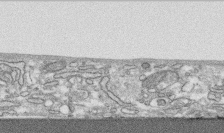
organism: Human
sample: CRL-1474